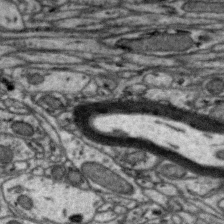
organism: Zebra finch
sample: Brain